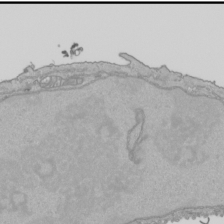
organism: Human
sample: Mitochondria in HCT116 cells